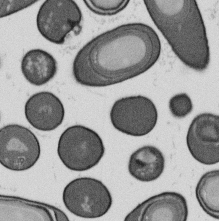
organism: B. subtilis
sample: Bacterial spore